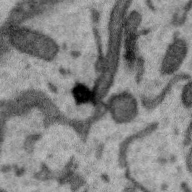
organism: Zebra finch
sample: Brain